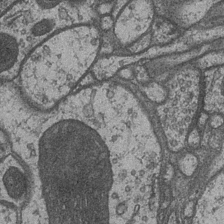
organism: Drosophila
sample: Optic medulla